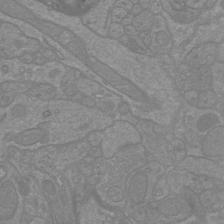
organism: Mouse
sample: Cortical neurons